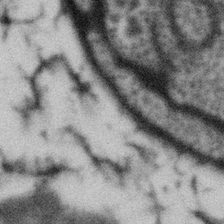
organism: Gemmata obscuriglobus